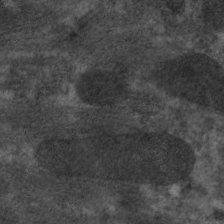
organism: C. elegans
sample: Pharynx